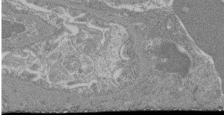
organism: Mouse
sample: Glomerulus